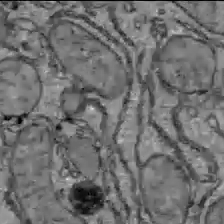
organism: C57BL Mouse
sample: Liver